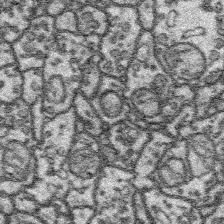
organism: Platynereis dumerilii